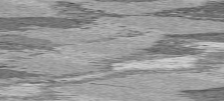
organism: C57BL Mouse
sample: Heart